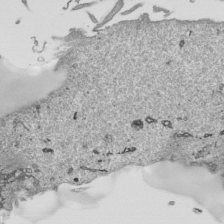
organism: Human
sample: Mitochondria in HCT116 cells